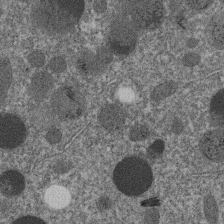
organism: C. elegans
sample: C. elegans embryo early stage